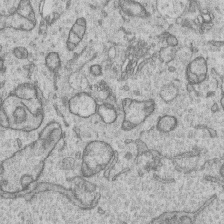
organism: Human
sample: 1205lu cells